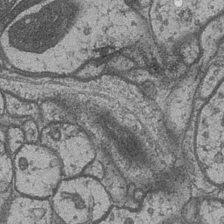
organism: Drosophila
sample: Optic medulla